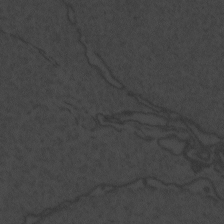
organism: Zebrafish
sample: Macrophage infected with Toxoplasma gondii